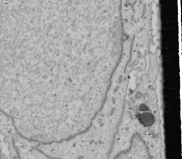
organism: Human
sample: Mitochondria in U2OS cells